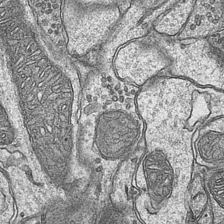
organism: Mouse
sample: CA1 Hippocampus